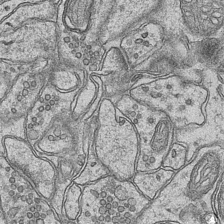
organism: Mouse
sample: CA1 Hippocampus